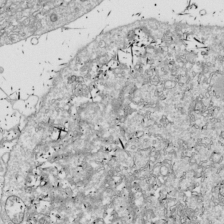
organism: Drosophila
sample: Cell division; meiosis; drosophila spermatocytes